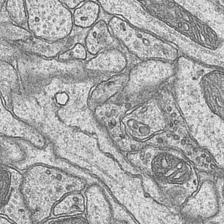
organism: Mouse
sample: CA1 Hippocampus